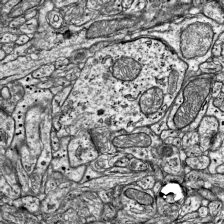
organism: Mouse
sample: Visual Cortex